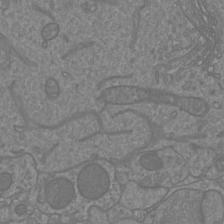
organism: Mouse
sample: Cortical neurons